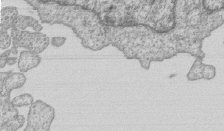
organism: Human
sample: MDA-MB-231 cells